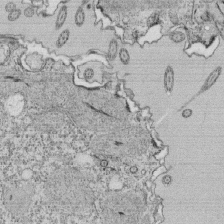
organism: Tetrahymena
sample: Cilia in tetrahymena